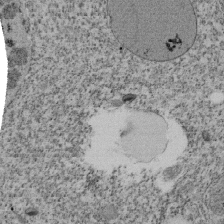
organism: Tetrahymena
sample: Cilia in tetrahymena